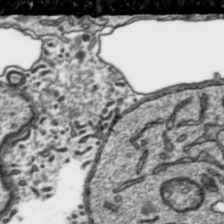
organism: Toxoplasma gondii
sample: Parasites in a vacuole inside a host cell